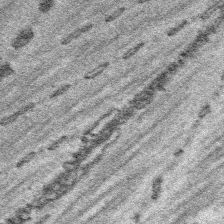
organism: Platynereis dumerilii